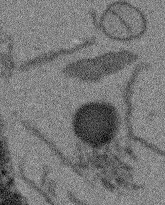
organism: Arabidopsis thaliana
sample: Root tip